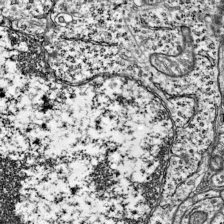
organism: Mouse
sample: Visual Cortex